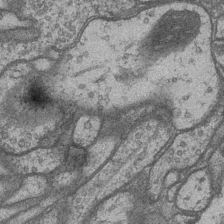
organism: Drosophila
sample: Optic medulla